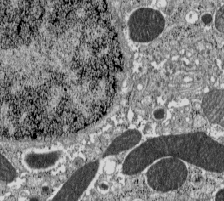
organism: C57BL Mouse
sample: Pancreatic islet